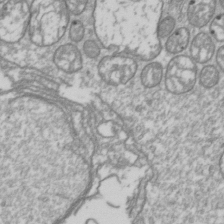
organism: Drosophila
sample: Cell division; meiosis; drosophila spermatocytes